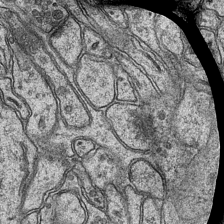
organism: Mouse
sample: CA1 Hippocampus